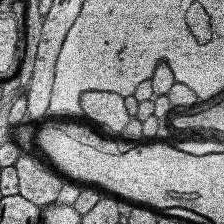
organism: Human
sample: Temporal Lobe